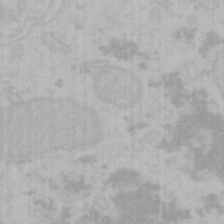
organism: Mouse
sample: Choroid plexus